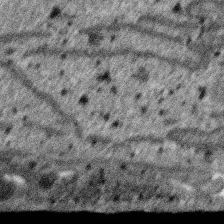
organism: Human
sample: Lung epithelial cells infected with SARS-CoV-2